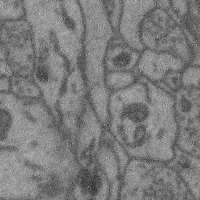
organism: Mouse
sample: Cerebral cortex